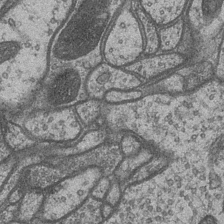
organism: Drosophila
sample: Optic medulla